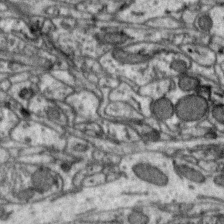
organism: Zebra finch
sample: Brain